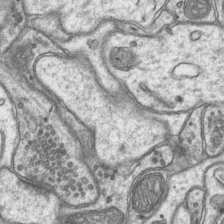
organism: Mouse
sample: CA1 Hippocampus